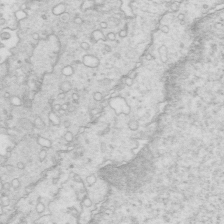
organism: Mouse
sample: Multiciliated cells